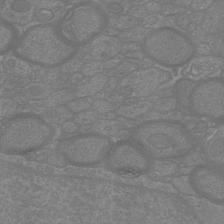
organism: Mouse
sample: Cortical neurons